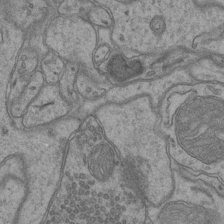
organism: Mouse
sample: CA1 Hippocampus